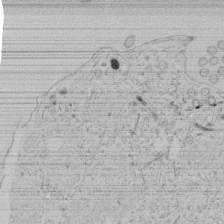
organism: Tetrahymena